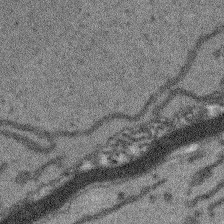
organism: Arabidopsis thaliana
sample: Root tip